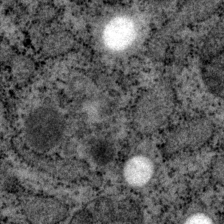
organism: P. pacificus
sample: Pharynx